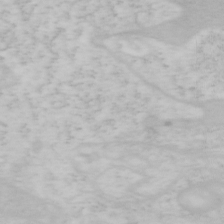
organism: Mouse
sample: OT-I killer T cells with ID8 ovarian cancer cells